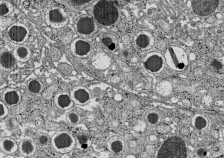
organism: C57BL Mouse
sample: Pancreatic islet